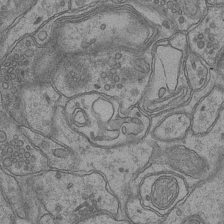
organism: Mouse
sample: CA1 Hippocampus